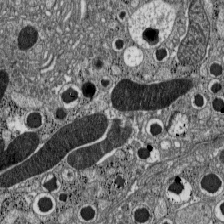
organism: C57BL Mouse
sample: Pancreatic islet